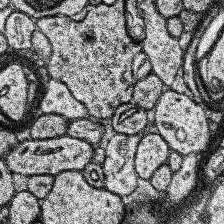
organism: Human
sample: Temporal Lobe